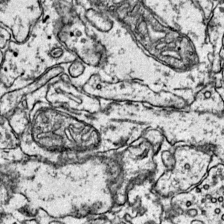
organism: Mouse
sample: Primary visual cortex